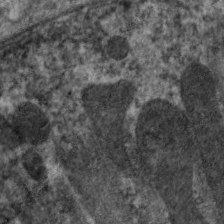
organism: C. elegans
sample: Pharynx